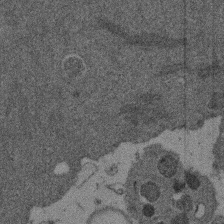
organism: Mouse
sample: Dividing mouse embryo 1 cell stage